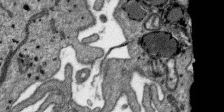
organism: Human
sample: Lung epithelial cells, uninfected (mock) control